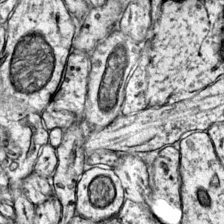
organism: Mouse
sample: Primary visual cortex